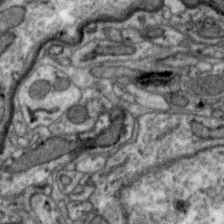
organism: Zebra finch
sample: Brain